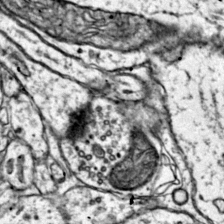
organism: Mouse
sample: Primary visual cortex